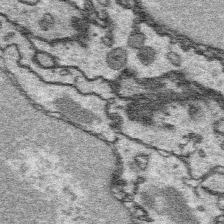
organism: Platynereis dumerilii